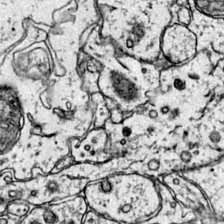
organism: Mouse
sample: Primary visual cortex